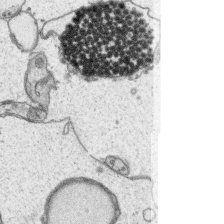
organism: Platynereis dumerilii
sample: Parapodia